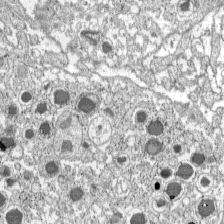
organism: C57BL Mouse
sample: Pancreatic islet